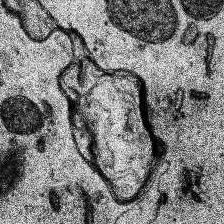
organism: Human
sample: Temporal Lobe